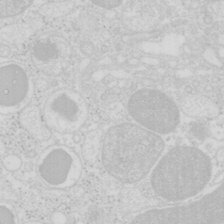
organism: Mouse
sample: Pancreas